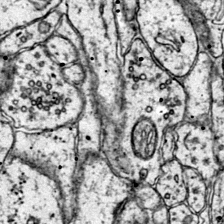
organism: Mouse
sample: Primary visual cortex